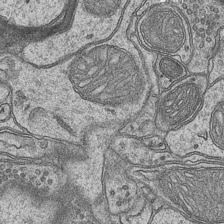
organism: Mouse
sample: CA1 Hippocampus